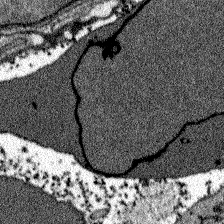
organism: Zebrafish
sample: Larval olfactory bulb